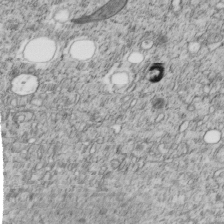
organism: C. elegans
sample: C. elegans embryo early stage